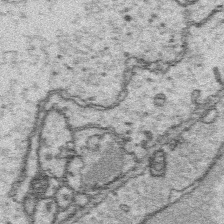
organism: Platynereis dumerilii